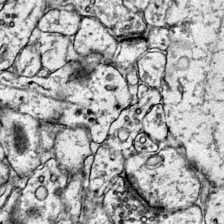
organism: Mouse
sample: Primary visual cortex